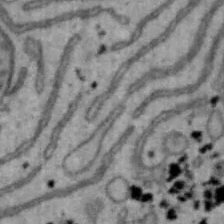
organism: Mouse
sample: Liver